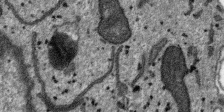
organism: Human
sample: Lung epithelial cells, uninfected (mock) control